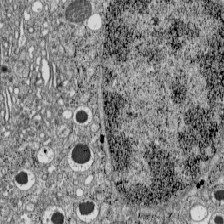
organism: C57BL Mouse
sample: Pancreatic islet